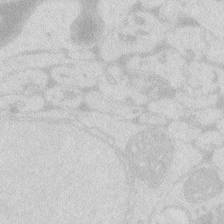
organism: Zebrafish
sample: Macrophage